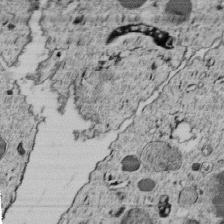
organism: C. elegans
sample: C. elegans embryo early stage